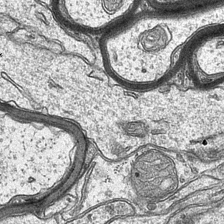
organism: Mouse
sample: CA1 Hippocampus